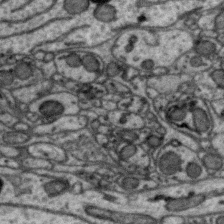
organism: Zebra finch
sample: Brain